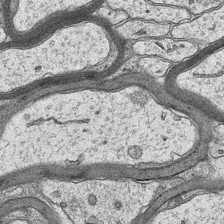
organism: Mouse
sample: CA1 Hippocampus